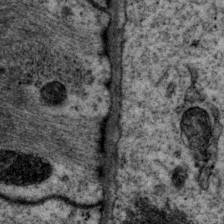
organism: P. pacificus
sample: Pharynx